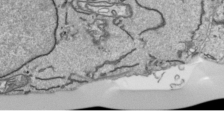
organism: Human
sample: Mitochondria in HCT116 cells